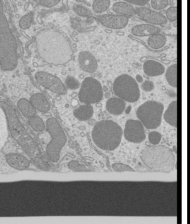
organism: Mouse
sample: Cilia; mouse epididymis